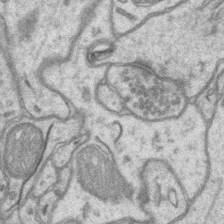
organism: Mouse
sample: CA1 Hippocampus